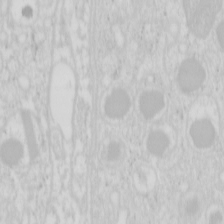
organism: Mouse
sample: Pancreas